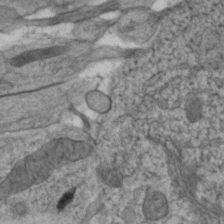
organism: Zebrafish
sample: Zebrafish embryo